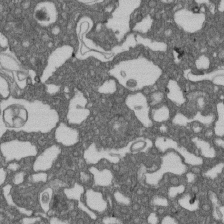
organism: Drosophila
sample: Nephrocyte